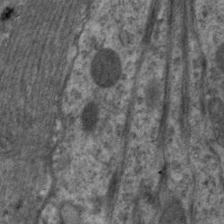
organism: C. elegans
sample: Pharynx